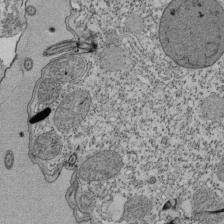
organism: Tetrahymena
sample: Cilia in tetrahymena